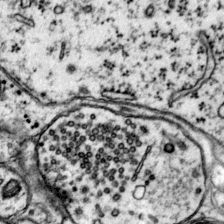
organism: Mouse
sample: Primary visual cortex